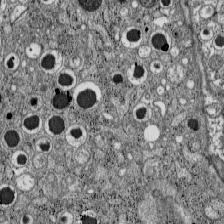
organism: C57BL Mouse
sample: Pancreatic islet